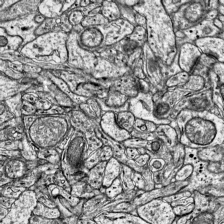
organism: Mouse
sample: Visual Cortex